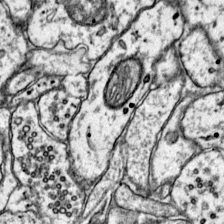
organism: Mouse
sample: Primary visual cortex